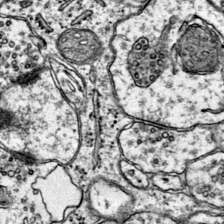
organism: Mouse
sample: Primary visual cortex